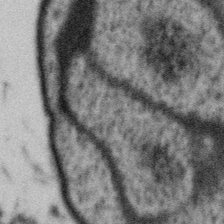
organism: Gemmata obscuriglobus